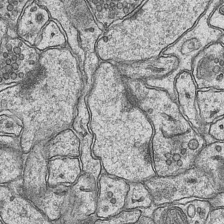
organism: Mouse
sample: CA1 Hippocampus